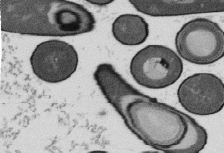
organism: B. subtilis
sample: Bacterial spore